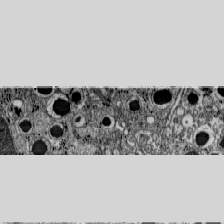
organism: C57BL Mouse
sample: Pancreatic islet